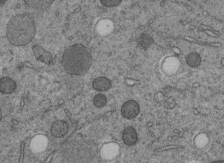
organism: C. elegans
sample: C. elegans embryo early stage